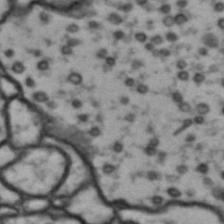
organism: Drosophila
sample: Brain